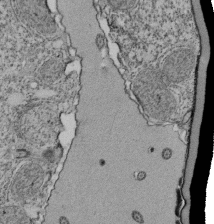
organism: Tetrahymena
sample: Cilia in tetrahymena